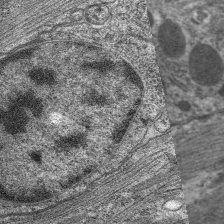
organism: C. elegans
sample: Pharynx